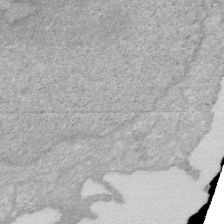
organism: Human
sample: HIV infected U937 cells